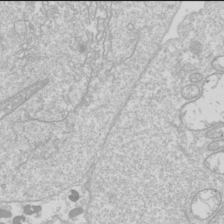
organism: Drosophila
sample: Cell division; meiosis; drosophila spermatocytes